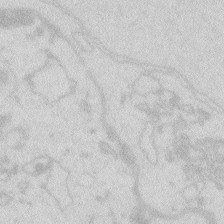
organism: Zebrafish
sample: Macrophage